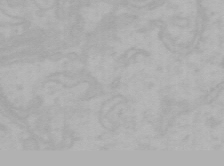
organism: Mouse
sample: Choroid plexus